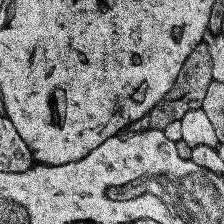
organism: Human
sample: Temporal Lobe